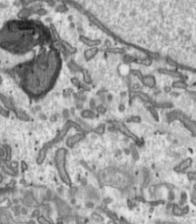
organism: Toxoplasma gondii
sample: Parasites in a vacuole inside a host cell